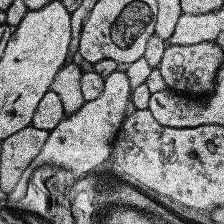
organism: Human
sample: Temporal Lobe